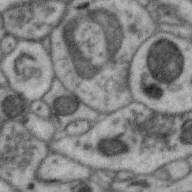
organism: Zebra finch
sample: Brain